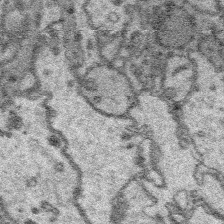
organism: Platynereis dumerilii